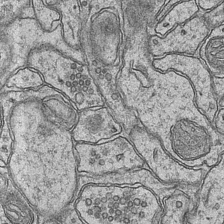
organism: Mouse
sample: CA1 Hippocampus